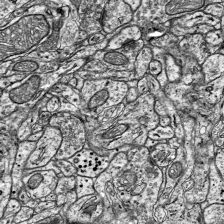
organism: Mouse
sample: Visual Cortex